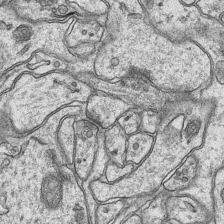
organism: Mouse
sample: CA1 Hippocampus